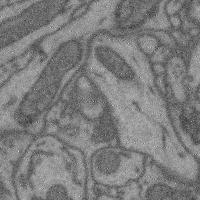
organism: Mouse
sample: Cerebral cortex